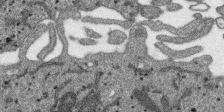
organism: Human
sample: Lung epithelial cells infected with SARS-CoV-2